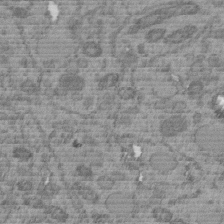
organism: C. elegans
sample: C. elegans embryo early stage